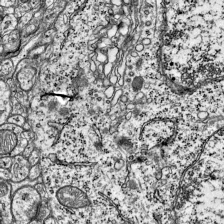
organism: Mouse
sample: Visual Cortex